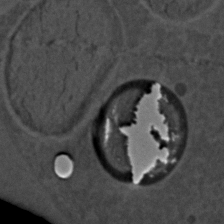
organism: C. elegans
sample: C. elegans embryo